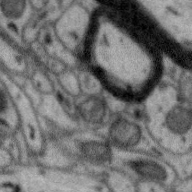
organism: Zebra finch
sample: Brain